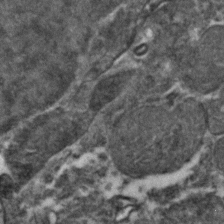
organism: Zebrafish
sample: Zebrafish embryo